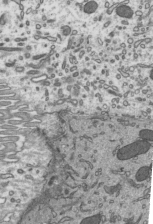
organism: Mouse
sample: Mouse epididymis efferent ductule cilia